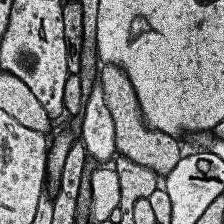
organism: Human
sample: Temporal Lobe